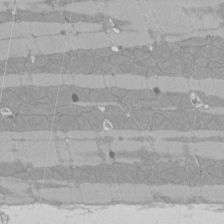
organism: Rat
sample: Left ventricle